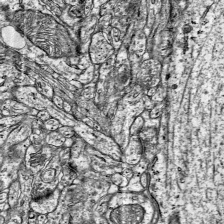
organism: Mouse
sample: Visual Cortex